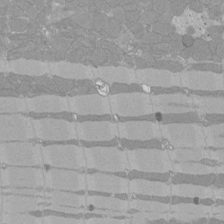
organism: Rat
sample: Left ventricle